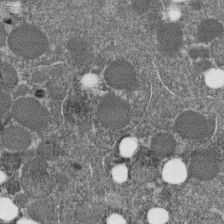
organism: C. elegans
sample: C. elegans embryo early stage